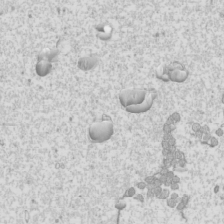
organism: Mouse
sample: Cilia; mouse epididymis